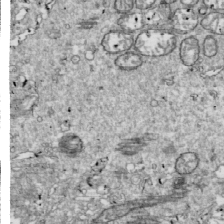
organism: Drosophila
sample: Cell division; meiosis; drosophila spermatocytes